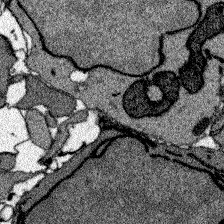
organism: Zebrafish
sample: Larval olfactory bulb